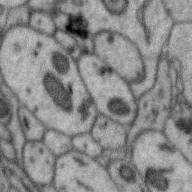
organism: Zebra finch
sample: Brain